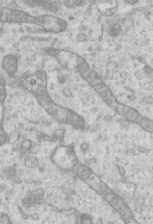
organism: Mouse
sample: Centriole in ependymal cells